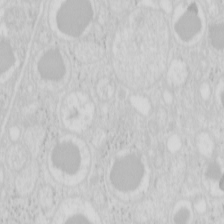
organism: Mouse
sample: Pancreas